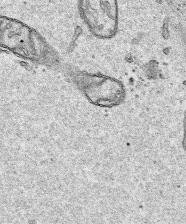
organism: Human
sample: Mitochondria in HCT116 cells